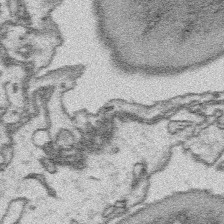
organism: Platynereis dumerilii